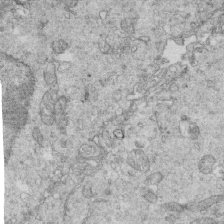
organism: Mouse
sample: Multiciliated cells